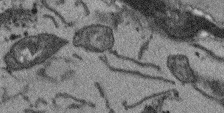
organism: Arabidopsis thaliana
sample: Root tip